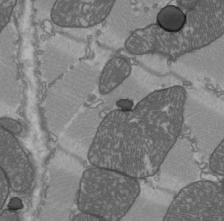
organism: C57BL Mouse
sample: Heart